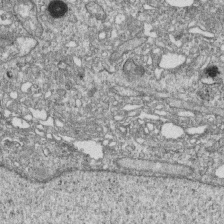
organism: Human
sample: HeLa cell HIV synapse